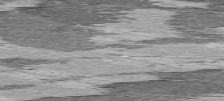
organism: C57BL Mouse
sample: Heart